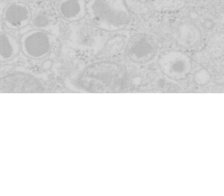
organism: Mouse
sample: Pancreas